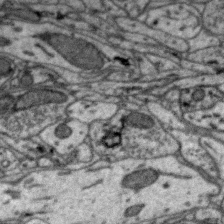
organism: Zebra finch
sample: Brain